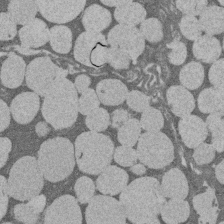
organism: Rat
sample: Salivary granule